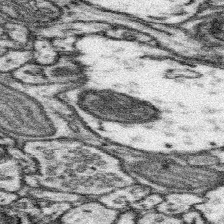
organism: Mouse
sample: Somatosensory cortex neuropil